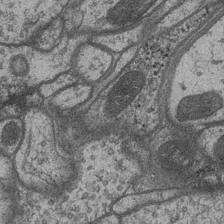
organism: Drosophila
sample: Optic medulla